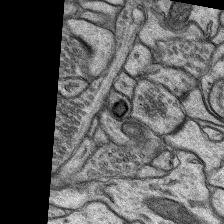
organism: Rat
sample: Hippocampus